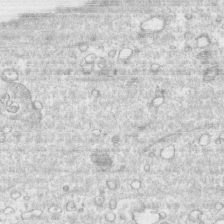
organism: Human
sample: CRL-1474